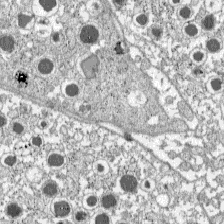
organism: C57BL Mouse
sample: Pancreatic islet